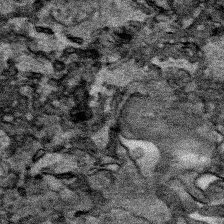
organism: Human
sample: Mitochondria in HCT116 cells